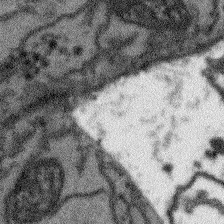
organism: Arabidopsis thaliana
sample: Root tip